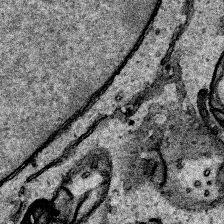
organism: Human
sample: Mitochondria in HCT116 cells